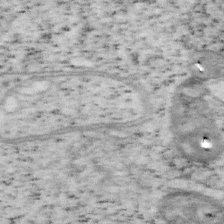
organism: Mouse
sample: OT-I killer T cells with ID8 ovarian cancer cells